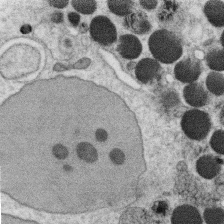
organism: C. elegans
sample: C. elegans oocyte; sperm cells